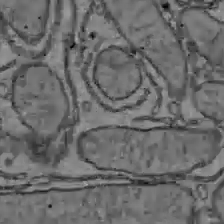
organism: C57BL Mouse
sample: Liver